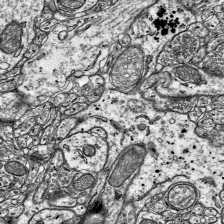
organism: Mouse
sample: Visual Cortex